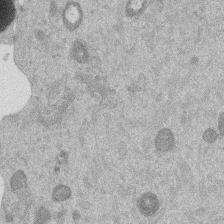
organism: Mouse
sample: Dividing mouse embryo 1 cell stage